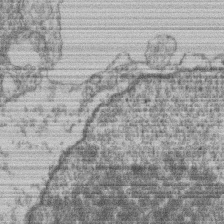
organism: Mouse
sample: T cell stromal cell synapse